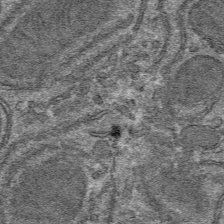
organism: Mouse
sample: Mouse hepatocytes